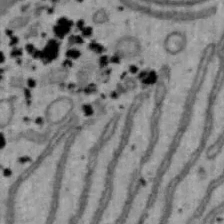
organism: Mouse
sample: Liver